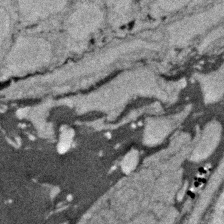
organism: Zebrafish